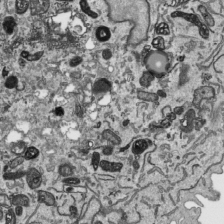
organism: Human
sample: Mitochondria in HCT116 cells